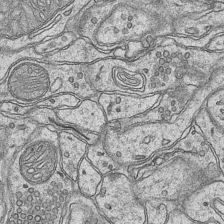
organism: Mouse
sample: CA1 Hippocampus